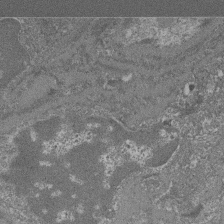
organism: Mouse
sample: Glomerulus